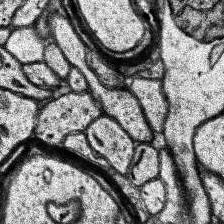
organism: Human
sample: Temporal Lobe